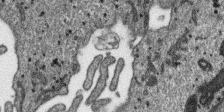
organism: Human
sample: Lung epithelial cells infected with SARS-CoV-2